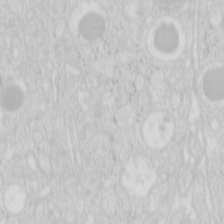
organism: Mouse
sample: Pancreas